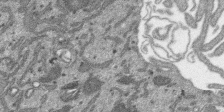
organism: Human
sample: Lung epithelial cells infected with SARS-CoV-2